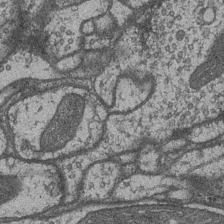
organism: Drosophila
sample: Optic medulla